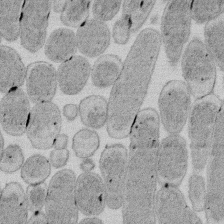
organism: E. coli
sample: Bacterial nucleoid